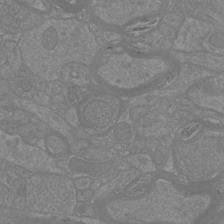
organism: Mouse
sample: Cortical neurons